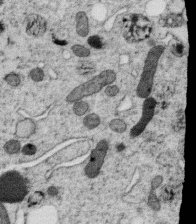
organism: C. elegans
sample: C. elegans oocyte; sperm cells